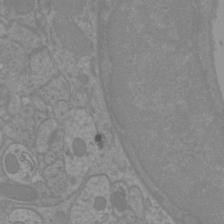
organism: Mouse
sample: Cortical neurons